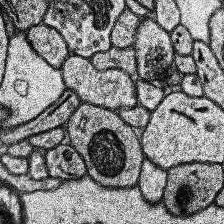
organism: Human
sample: Temporal Lobe